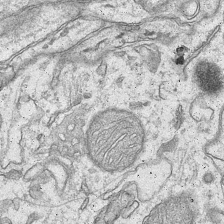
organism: Mouse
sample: CA1 Hippocampus